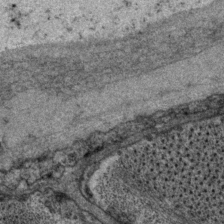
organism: P. pacificus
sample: Pharynx